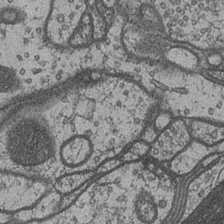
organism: Drosophila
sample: Optic medulla